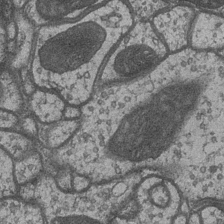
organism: Drosophila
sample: Optic medulla